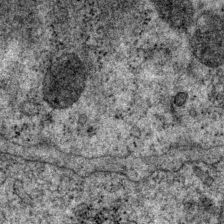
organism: P. pacificus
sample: Pharynx